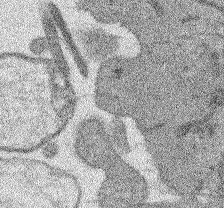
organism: Human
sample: HeLa cells